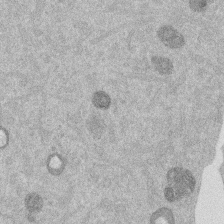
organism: Mouse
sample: Dividing mouse embryo 1 cell stage